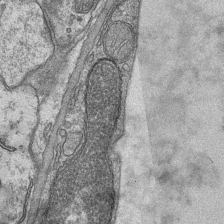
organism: Mouse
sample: CA1 Hippocampus